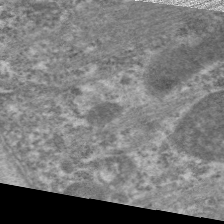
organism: C. elegans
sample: Pharynx